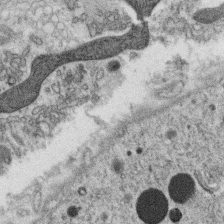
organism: C. elegans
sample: C. elegans oocyte; sperm cells